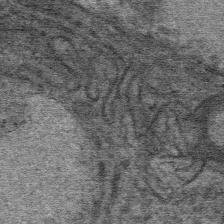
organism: Mouse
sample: Mouse Salivary gland